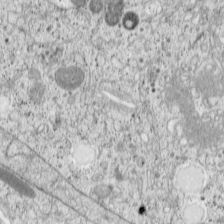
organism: African green monkey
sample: COS-7 cells